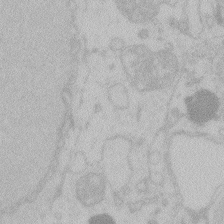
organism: Zebrafish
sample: Macrophage infected with Toxoplasma gondii